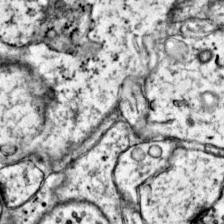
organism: Mouse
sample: Primary visual cortex